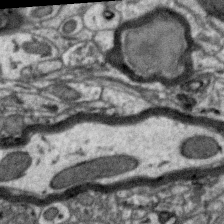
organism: Zebra finch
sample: Brain